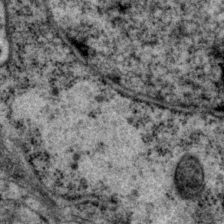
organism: P. pacificus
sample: Pharynx